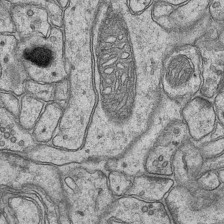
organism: Mouse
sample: CA1 Hippocampus